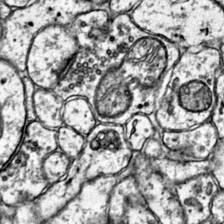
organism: Mouse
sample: Primary visual cortex